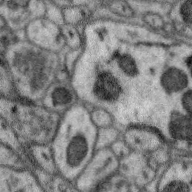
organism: Zebra finch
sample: Brain